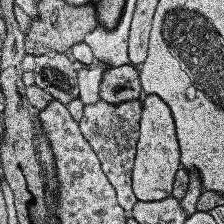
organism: Human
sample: Temporal Lobe